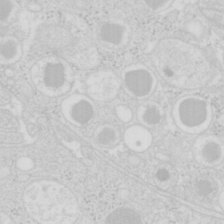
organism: Mouse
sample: Pancreas